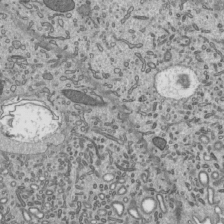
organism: Mouse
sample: Mouse epididymis efferent ductule cilia